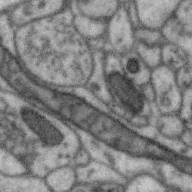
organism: Zebra finch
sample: Brain